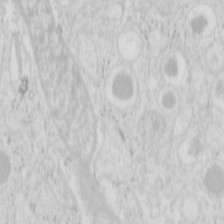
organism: Mouse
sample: Pancreas